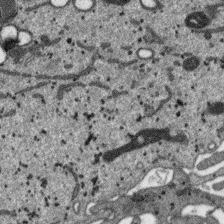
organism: Human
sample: Lung epithelial cells infected with SARS-CoV-2